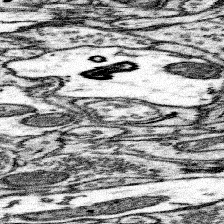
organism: Mouse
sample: Somatosensory cortex neuropil